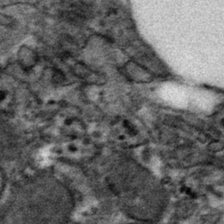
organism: Mouse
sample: Mouse hepatocytes